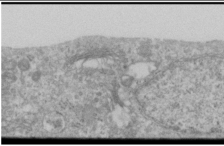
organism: Human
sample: Cilia; basal body in RPE cells